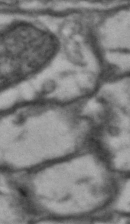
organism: Drosophila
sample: Brain